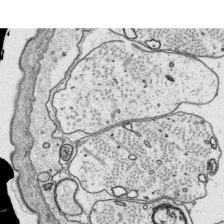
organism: Platynereis dumerilii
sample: Parapodia